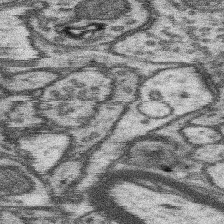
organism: Mouse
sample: Somatosensory cortex neuropil